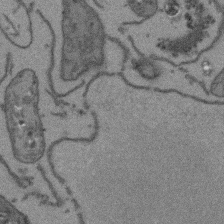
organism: Arabidopsis thaliana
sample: Root tip